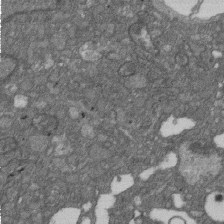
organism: Drosophila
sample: Nephrocyte